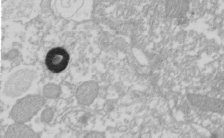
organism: Xenopus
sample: Cilia; centrioles in frog embryo cells